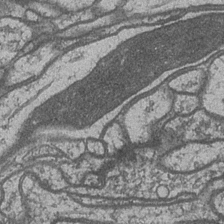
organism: Drosophila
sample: Optic medulla